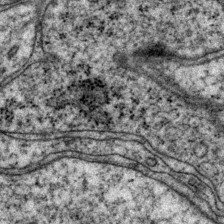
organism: P. pacificus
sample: Pharynx